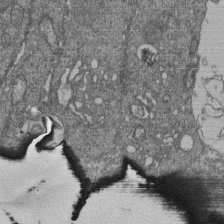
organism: Human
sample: Retinal organoid Rod and Cone cells